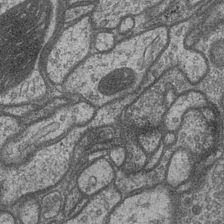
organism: Drosophila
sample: Optic medulla